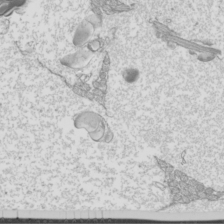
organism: Mouse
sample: Cilia; mouse epididymis